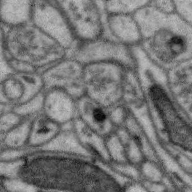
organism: Zebra finch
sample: Brain